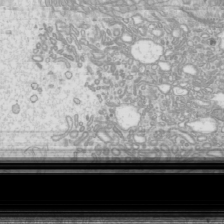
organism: Mouse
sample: Cilia; mouse epididymis